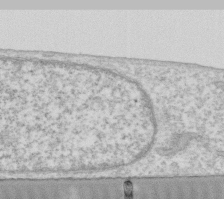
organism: Human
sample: Fibroblast cells